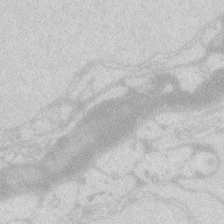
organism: Zebrafish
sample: Macrophage